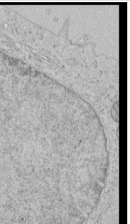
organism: Human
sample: Mitochondria in HCT116 cells